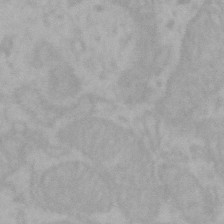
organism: Mouse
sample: Choroid plexus